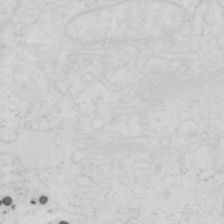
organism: Human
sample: SUM-159 cell